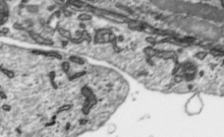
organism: Toxoplasma gondii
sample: Parasites in a vacuole inside a host cell